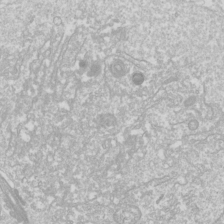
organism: Drosophila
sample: Cell division; meiosis; drosophila spermatocytes